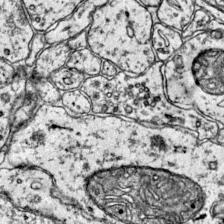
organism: Mouse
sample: Primary visual cortex